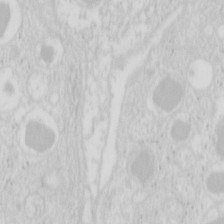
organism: Mouse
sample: Pancreas